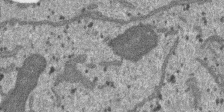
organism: Human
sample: Lung epithelial cells infected with SARS-CoV-2